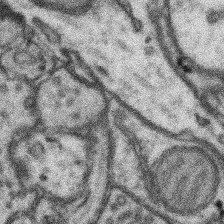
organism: Mouse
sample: Somatosensory cortex neuropil